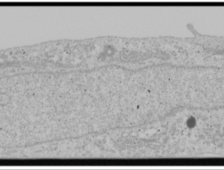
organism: Human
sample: Mitochondria in U2OS cells